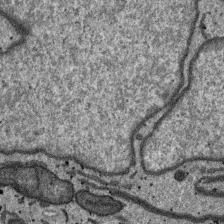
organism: Human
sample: Lung epithelial cells, uninfected (mock) control